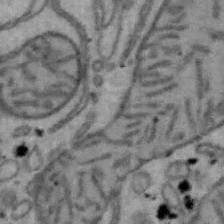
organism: Mouse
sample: Liver